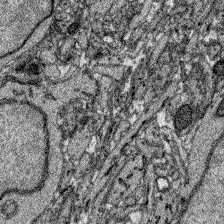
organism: Zebrafish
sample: Larval olfactory bulb